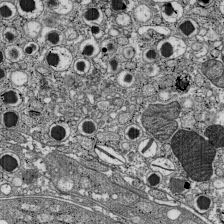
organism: C57BL Mouse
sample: Pancreatic islet